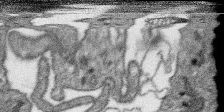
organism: Human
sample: Lung epithelial cells infected with SARS-CoV-2